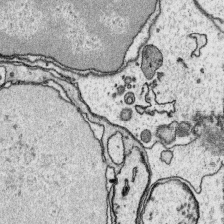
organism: Platynereis dumerilii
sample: Parapodia